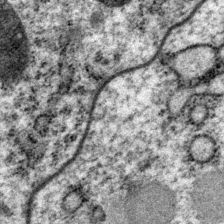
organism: P. pacificus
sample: Pharynx